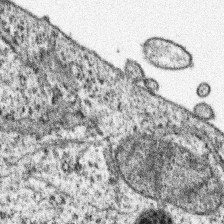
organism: Human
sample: HeLa cells